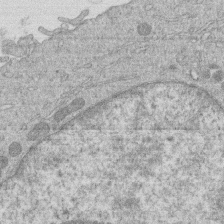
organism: Human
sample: Macrophage cells